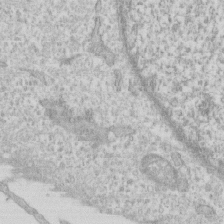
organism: Human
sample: CRL-1474